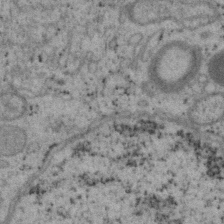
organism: Human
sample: HeLa cells